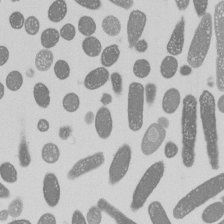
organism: E. coli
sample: Bacterial nucleoid